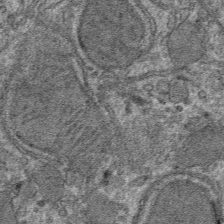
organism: Mouse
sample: Mouse hepatocytes